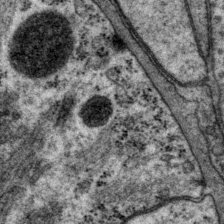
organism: P. pacificus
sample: Pharynx